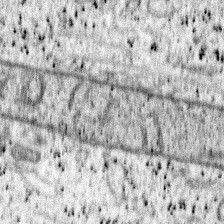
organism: Human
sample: HeLa cells